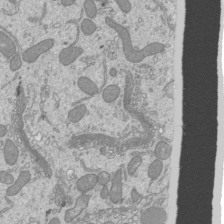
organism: Mouse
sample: Cilia; mouse epididymis